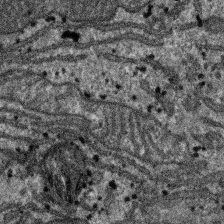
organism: Human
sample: Lung epithelial cells infected with SARS-CoV-2